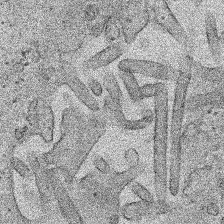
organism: Human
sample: Mitochondria in HCT116 cells